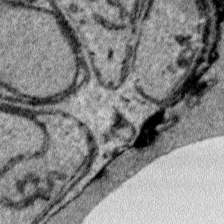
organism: Plasmodium falciparum